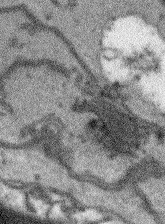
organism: Arabidopsis thaliana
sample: Root tip